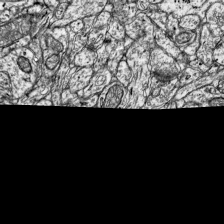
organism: Mouse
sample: Visual Cortex